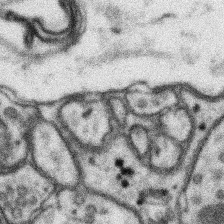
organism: Mouse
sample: Somatosensory cortex neuropil